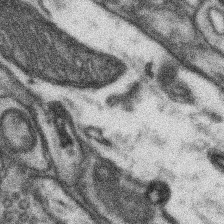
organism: Mouse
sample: Somatosensory cortex neuropil